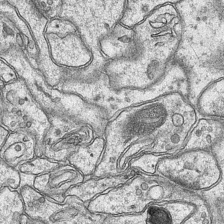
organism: Mouse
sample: CA1 Hippocampus